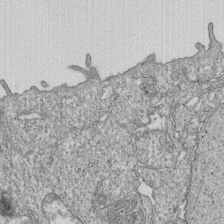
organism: Human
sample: HeLa cell HIV synapse